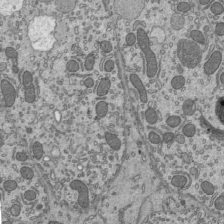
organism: Mouse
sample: Mouse epididymis efferent ductule cilia